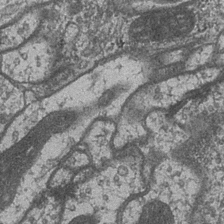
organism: Drosophila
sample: Optic medulla